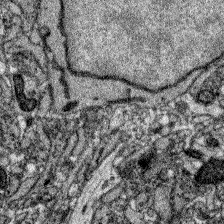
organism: Zebrafish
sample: Larval olfactory bulb